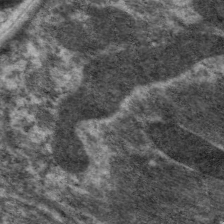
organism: C. elegans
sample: Pharynx